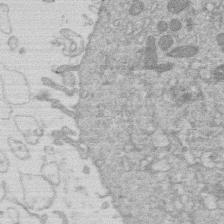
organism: Human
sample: Macrophage cells